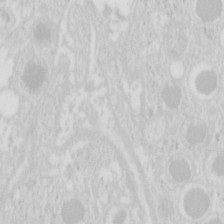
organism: Mouse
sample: Pancreas